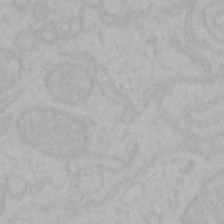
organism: Mouse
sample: Choroid plexus